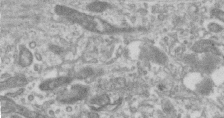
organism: Human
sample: Centriole in RPE cells